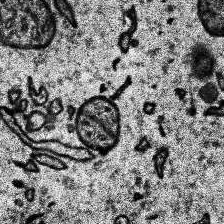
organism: Human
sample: Temporal Lobe